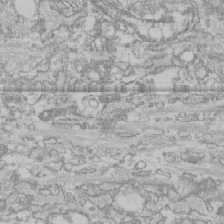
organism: Human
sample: CRL-1474